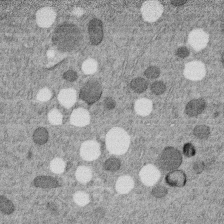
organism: C. elegans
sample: C. elegans embryo early stage